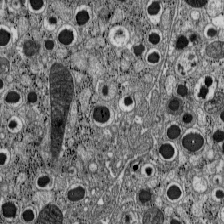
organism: C57BL Mouse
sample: Pancreatic islet